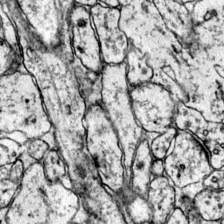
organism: Mouse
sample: Primary visual cortex